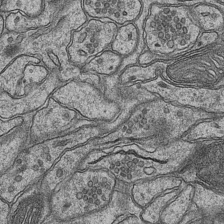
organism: Mouse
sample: CA1 Hippocampus